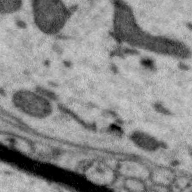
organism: Zebra finch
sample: Brain